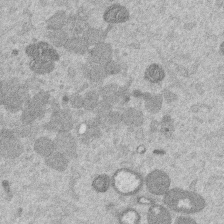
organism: Mouse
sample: Dividing mouse embryo 1 cell stage